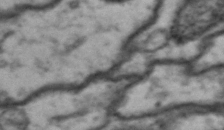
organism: Drosophila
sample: Brain